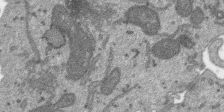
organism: Human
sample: Lung epithelial cells infected with SARS-CoV-2